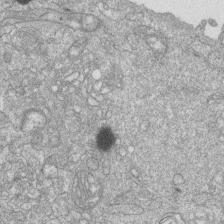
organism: Human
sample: HeLa cell HIV synapse